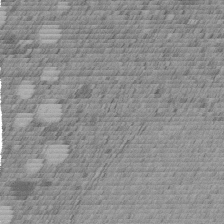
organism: C. elegans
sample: C. elegans embryo early stage